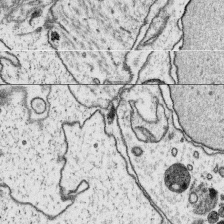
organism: Platynereis dumerilii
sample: Parapodia